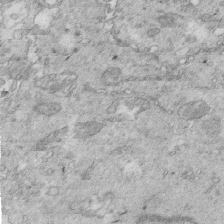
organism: Mouse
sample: Multiciliated cells